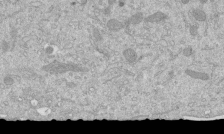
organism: Mouse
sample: ED-1 cell nuclei; centrioles